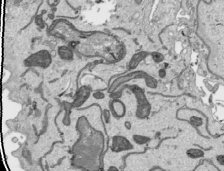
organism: Human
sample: Mitochondria in HCT116 cells